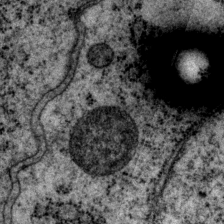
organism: P. pacificus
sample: Pharynx